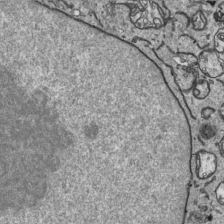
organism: Human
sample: Mitochondria in HCT116 cells